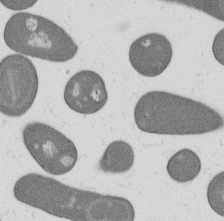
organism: B. subtilis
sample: Bacterial spore